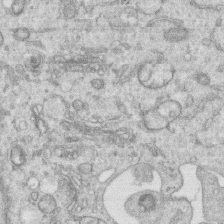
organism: Human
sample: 1205lu cells